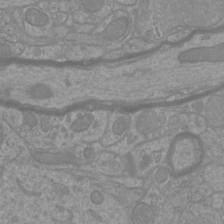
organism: Mouse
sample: Cortical neurons